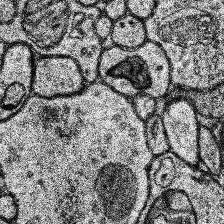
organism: Human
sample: Temporal Lobe